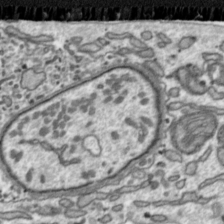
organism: Toxoplasma gondii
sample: Parasites in a vacuole inside a host cell